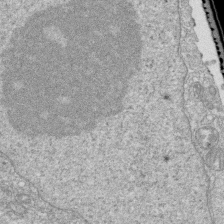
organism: Human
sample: HeLa cell HIV synapse